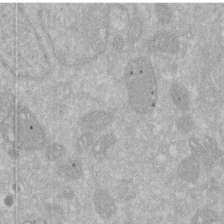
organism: Human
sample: HIV infected U937 cells